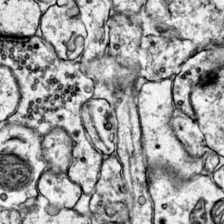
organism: Mouse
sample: Primary visual cortex